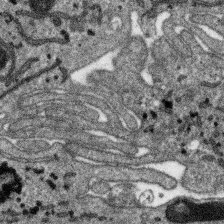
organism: Human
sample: Lung epithelial cells infected with SARS-CoV-2